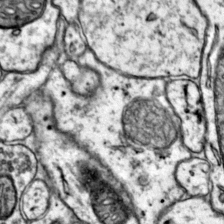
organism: Mouse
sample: Primary visual cortex